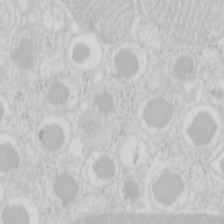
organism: Mouse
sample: Pancreas